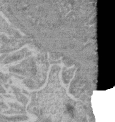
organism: Mouse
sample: Glomerulus